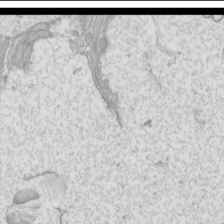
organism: Mouse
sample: Cilia; mouse epididymis